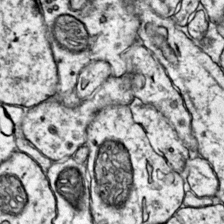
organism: Mouse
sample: Primary visual cortex